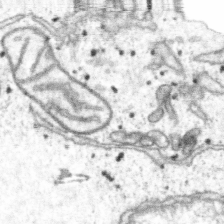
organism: Human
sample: HeLa cells